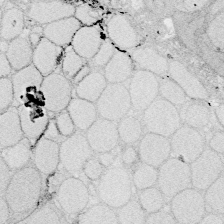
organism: Zebrafish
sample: Whole-Brain